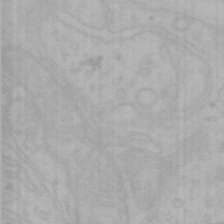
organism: Mouse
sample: Choroid plexus